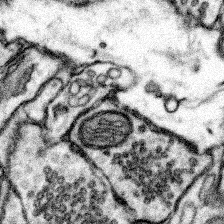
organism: Mouse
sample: Somatosensory cortex neuropil